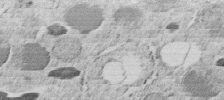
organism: C. elegans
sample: C. elegans embryo early stage